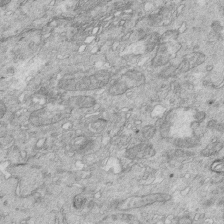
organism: Mouse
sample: Multiciliated cells